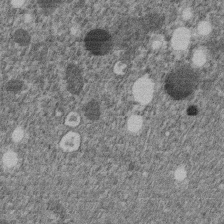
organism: C. elegans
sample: C. elegans embryo early stage